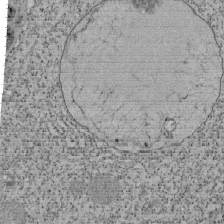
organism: Tetrahymena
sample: Cilia in tetrahymena